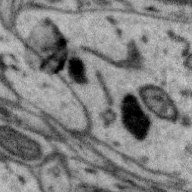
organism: Zebra finch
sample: Brain